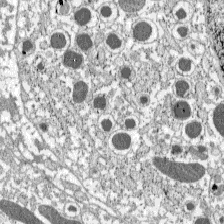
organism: C57BL Mouse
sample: Pancreatic islet